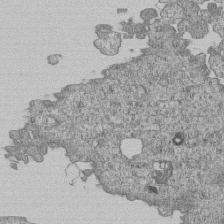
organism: Human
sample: MDA-MB-231 cells